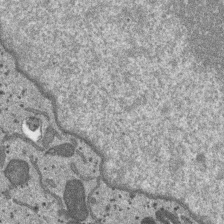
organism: Human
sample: Lung epithelial cells infected with SARS-CoV-2